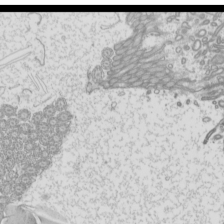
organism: Mouse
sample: Cilia; mouse epididymis